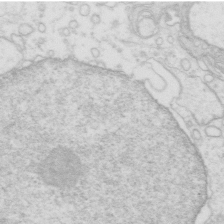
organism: Mouse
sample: Multiciliated cells